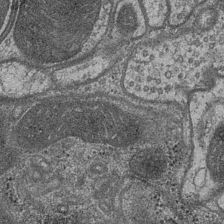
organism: Drosophila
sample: Optic medulla